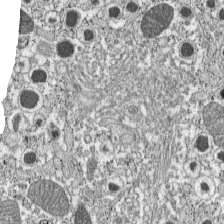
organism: C57BL Mouse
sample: Pancreatic islet